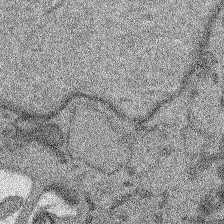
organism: Human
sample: HeLa cells